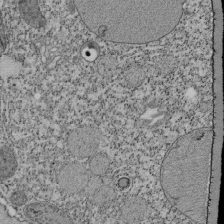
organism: Tetrahymena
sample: Cilia in tetrahymena